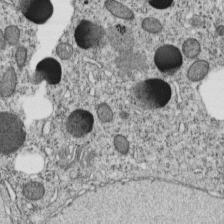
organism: C. elegans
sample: C. elegans embryo early stage